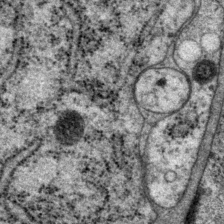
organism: P. pacificus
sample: Pharynx